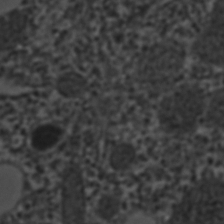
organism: C. elegans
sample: C. elegans embryo